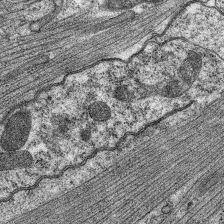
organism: C. elegans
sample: Pharynx